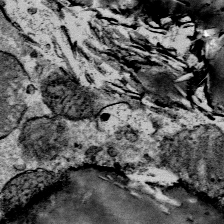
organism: Mouse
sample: Mouse Salivary gland